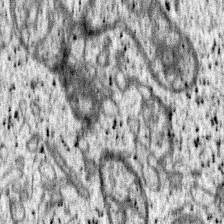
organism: Human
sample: HeLa cells